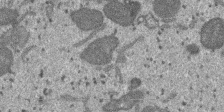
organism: Human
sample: Lung epithelial cells infected with SARS-CoV-2